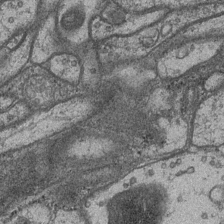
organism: Drosophila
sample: Optic medulla